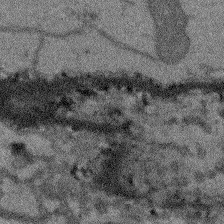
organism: Arabidopsis thaliana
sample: Root tip